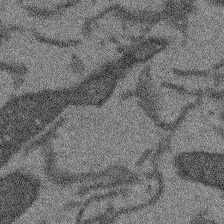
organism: Arabidopsis thaliana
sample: Root tip